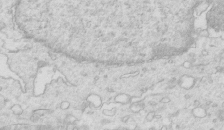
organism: Mouse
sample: Multiciliated cells